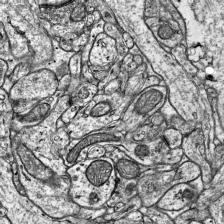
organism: Mouse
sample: Visual Cortex